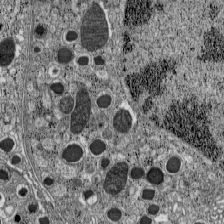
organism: C57BL Mouse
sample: Pancreatic islet